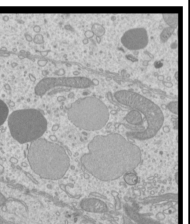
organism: Mouse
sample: Cilia; mouse epididymis